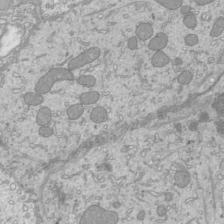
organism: Mouse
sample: Cilia; mouse epididymis